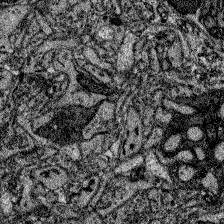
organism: Zebrafish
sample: Larval olfactory bulb